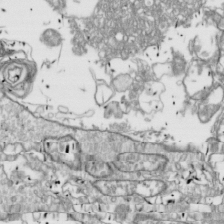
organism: Drosophila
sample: Cell division; meiosis; drosophila spermatocytes